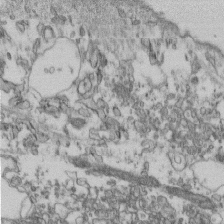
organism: Mouse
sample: Cilia; retinal pigment epithelium